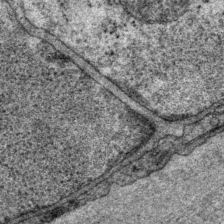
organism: P. pacificus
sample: Pharynx